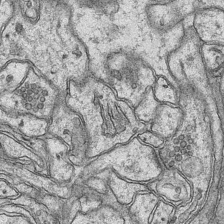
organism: Mouse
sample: CA1 Hippocampus